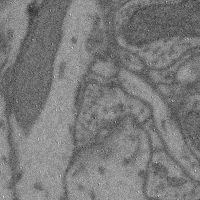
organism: Mouse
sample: Cerebral cortex